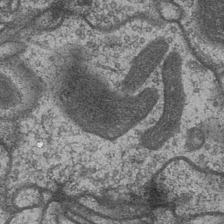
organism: Drosophila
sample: Optic medulla